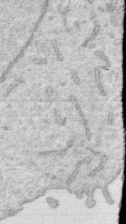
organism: Human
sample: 1205lu cells